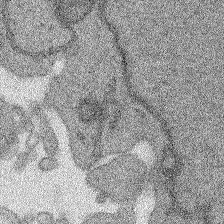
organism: Human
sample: HeLa cells